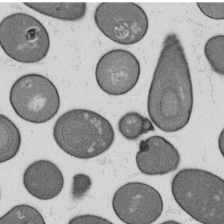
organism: B. subtilis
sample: Bacterial spore